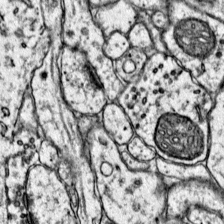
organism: Mouse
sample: Primary visual cortex